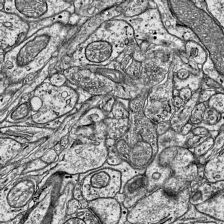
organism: Mouse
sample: Visual Cortex